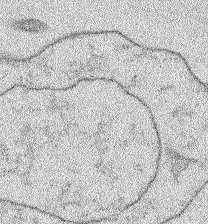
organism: Human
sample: HeLa cells